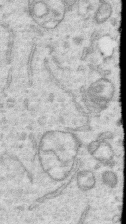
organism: Human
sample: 1205lu cells